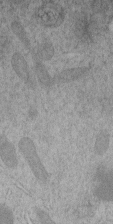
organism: C. elegans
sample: C. elegans embryo early stage